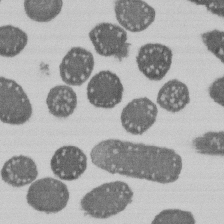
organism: E. coli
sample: Bacterial nucleoid